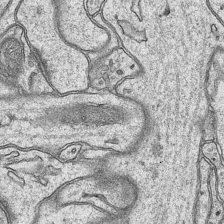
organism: Mouse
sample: CA1 Hippocampus